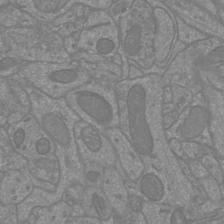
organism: Mouse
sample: Cortical neurons